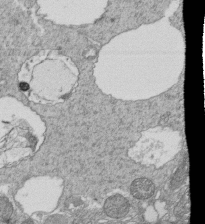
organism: Tetrahymena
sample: Cilia in tetrahymena